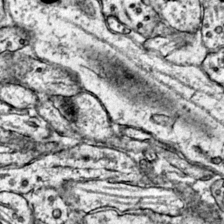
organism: Mouse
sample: Primary visual cortex